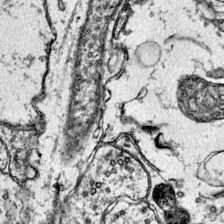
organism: Mouse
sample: Primary visual cortex